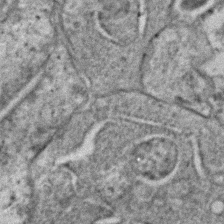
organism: C. elegans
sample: C. elegans embryo